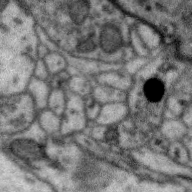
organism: Zebra finch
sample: Brain